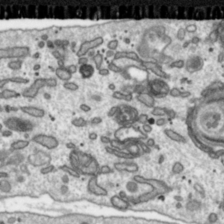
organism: Toxoplasma gondii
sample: Parasites in a vacuole inside a host cell